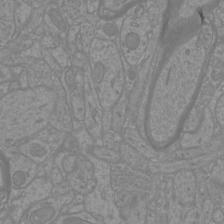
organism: Mouse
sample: Cortical neurons